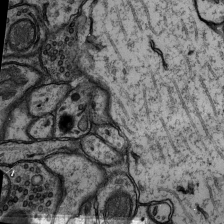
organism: Rat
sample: Hippocampus